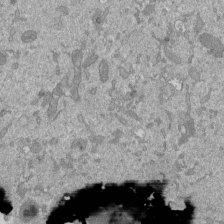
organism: Mouse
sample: ED-1 cell nuclei; centrioles